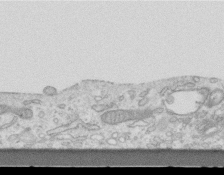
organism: Mouse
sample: Centriole in ependymal cells